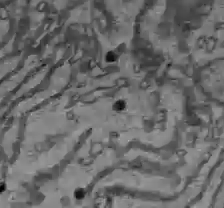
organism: C57BL Mouse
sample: Liver